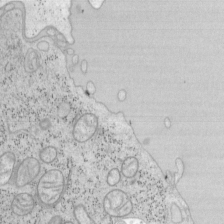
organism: Mouse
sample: OT-I killer T cells with ID8 ovarian cancer cells